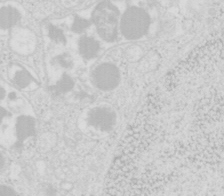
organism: Mouse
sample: Pancreas